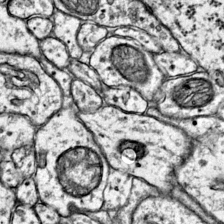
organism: Mouse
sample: Primary visual cortex